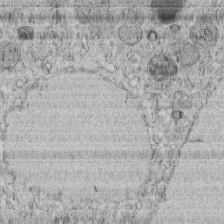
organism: C. elegans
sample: C. elegans embryo early stage